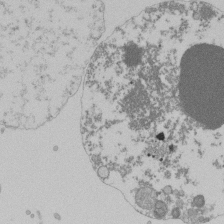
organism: Mouse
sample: Activated Pmel transgenic CD8+ T Cells